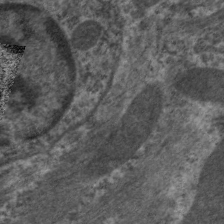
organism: C. elegans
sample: Pharynx